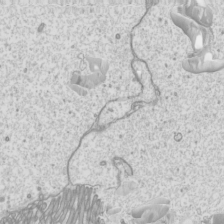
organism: Mouse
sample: Cilia; mouse epididymis